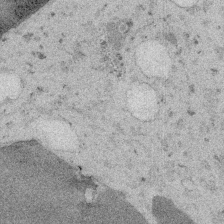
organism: Embia sp.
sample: Silk gland